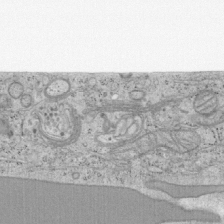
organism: Human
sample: HeLa cells